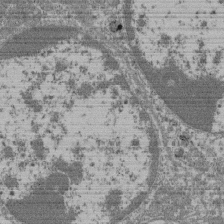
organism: Mouse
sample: Glomerulus